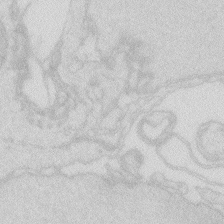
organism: Zebrafish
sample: Macrophage